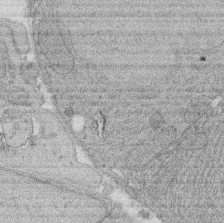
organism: Rat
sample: Salivary granule